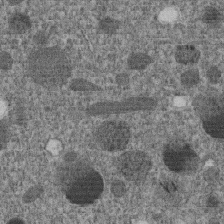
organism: C. elegans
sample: C. elegans embryo early stage